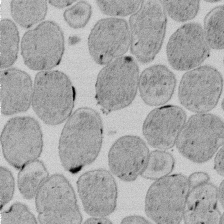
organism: E. coli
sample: Bacterial nucleoid